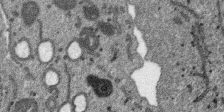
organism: Human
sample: Lung epithelial cells infected with SARS-CoV-2